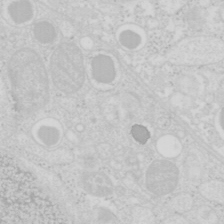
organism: Mouse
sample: Pancreas